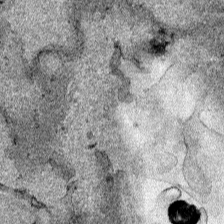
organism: Human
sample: Mitochondria in HCT116 cells